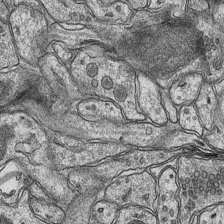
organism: Mouse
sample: CA1 Hippocampus